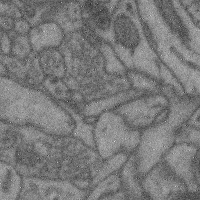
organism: Mouse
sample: Cerebral cortex